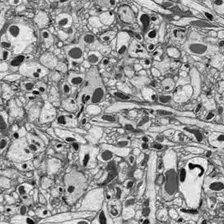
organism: Drosophila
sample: Optic lobe